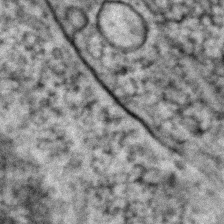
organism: Zebrafish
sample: Zebrafish embryo